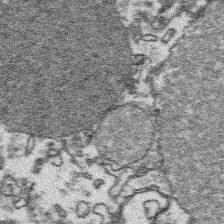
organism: Platynereis dumerilii